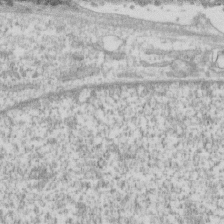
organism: Human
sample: CRL-1474